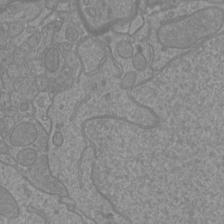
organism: Mouse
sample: Cortical neurons